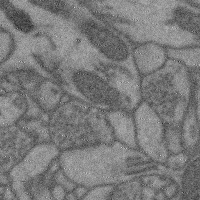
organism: Mouse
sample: Cerebral cortex